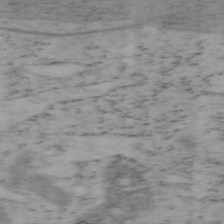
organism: Mouse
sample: OT-I killer T cells with ID8 ovarian cancer cells